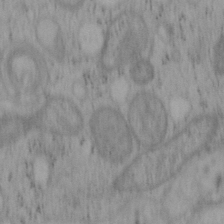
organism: Mouse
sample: OT-I killer T cells with ID8 ovarian cancer cells